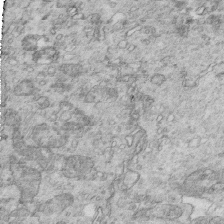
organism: Mouse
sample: Multiciliated cells